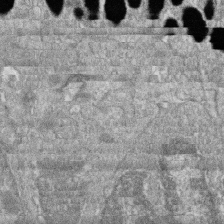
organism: Zebrafish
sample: Cilia; retinal pigment epithelium